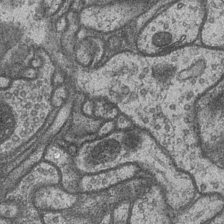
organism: Drosophila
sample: Optic medulla